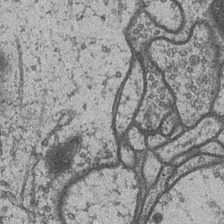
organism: Drosophila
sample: Optic medulla